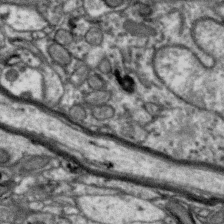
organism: Zebra finch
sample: Brain